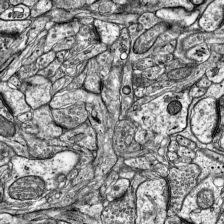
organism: Mouse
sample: Visual Cortex